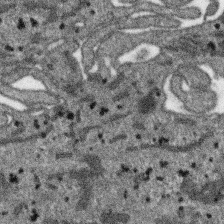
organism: Human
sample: Lung epithelial cells infected with SARS-CoV-2